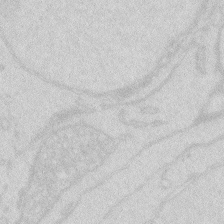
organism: Zebrafish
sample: Macrophage